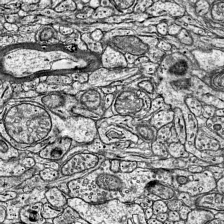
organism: Mouse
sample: Visual Cortex